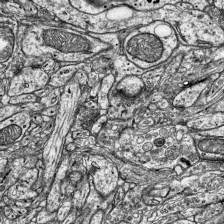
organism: Mouse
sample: Visual Cortex